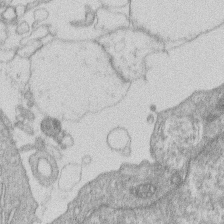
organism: Human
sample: Macrophage cells